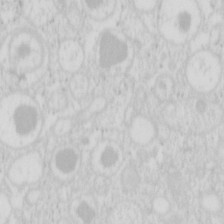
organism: Mouse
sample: Pancreas